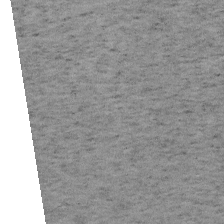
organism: Mouse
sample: OT-I killer T cells with ID8 ovarian cancer cells